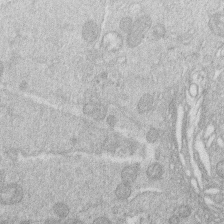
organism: Human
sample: Macrophage cells